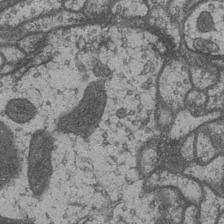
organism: Drosophila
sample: Optic medulla